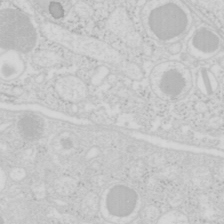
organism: Mouse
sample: Pancreas